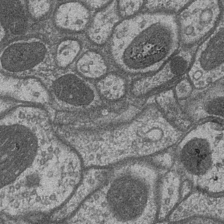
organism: Drosophila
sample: Optic medulla